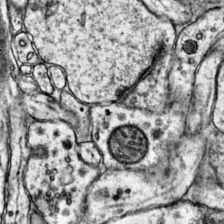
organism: Mouse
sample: Primary visual cortex